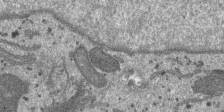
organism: Human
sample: Lung epithelial cells infected with SARS-CoV-2